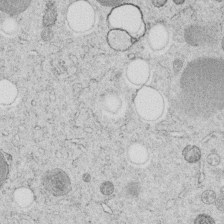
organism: C. elegans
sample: C. elegans embryo early stage